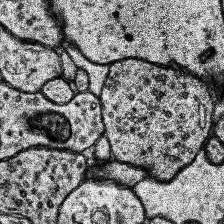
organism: Human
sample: Temporal Lobe